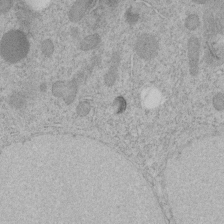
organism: C. elegans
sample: C. elegans embryo early stage